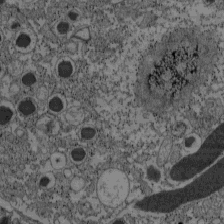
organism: C57BL Mouse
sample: Pancreatic islet